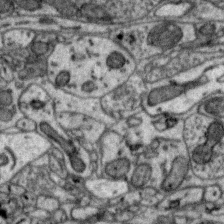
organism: Zebra finch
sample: Brain